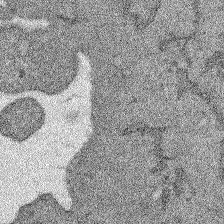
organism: Human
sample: HeLa cells